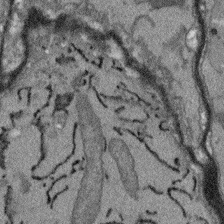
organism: Arabidopsis thaliana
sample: Root tip